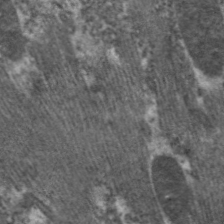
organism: C. elegans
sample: Pharynx